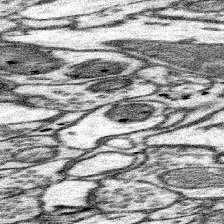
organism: Mouse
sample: Somatosensory cortex neuropil